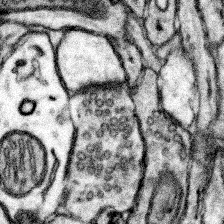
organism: Mouse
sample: Somatosensory cortex neuropil